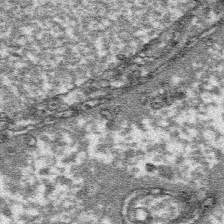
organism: Platynereis dumerilii